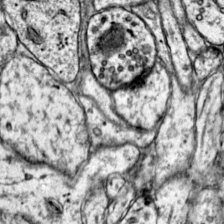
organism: Mouse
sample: Primary visual cortex